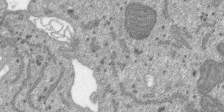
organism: Human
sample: Lung epithelial cells infected with SARS-CoV-2